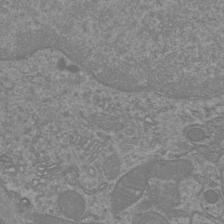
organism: Mouse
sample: Cortical neurons